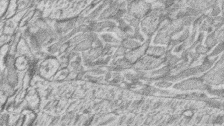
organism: Zebrafish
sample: synaptic ribbons in rod cells and cone cells